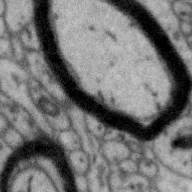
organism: Zebra finch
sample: Brain